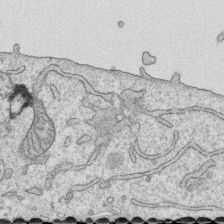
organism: Human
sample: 1205lu cells